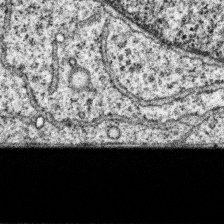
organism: Human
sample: HeLa cells